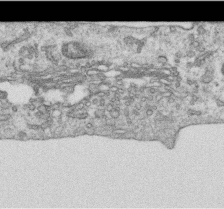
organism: Human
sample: Centriole in RPE cells